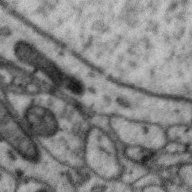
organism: Zebra finch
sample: Brain